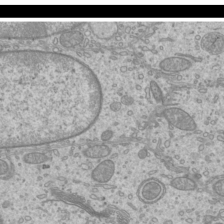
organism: Mouse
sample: Cilia; mouse epididymis